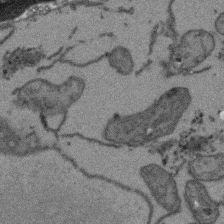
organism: Arabidopsis thaliana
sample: Root tip